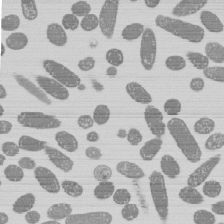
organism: E. coli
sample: Bacterial nucleoid